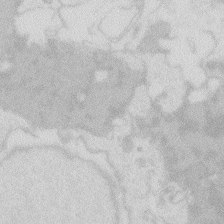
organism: Zebrafish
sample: Macrophage